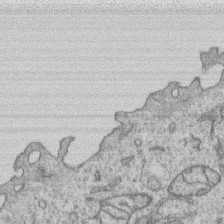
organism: Human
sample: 1205lu cells